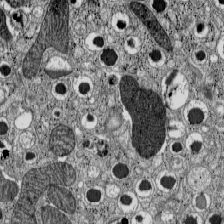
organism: C57BL Mouse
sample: Pancreatic islet